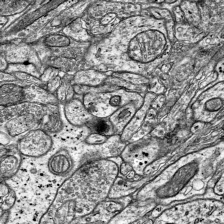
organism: Mouse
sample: Visual Cortex